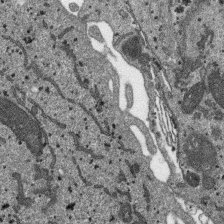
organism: Human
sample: Lung epithelial cells infected with SARS-CoV-2